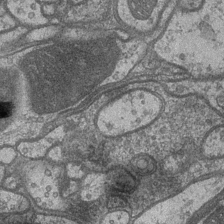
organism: Drosophila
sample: Optic medulla